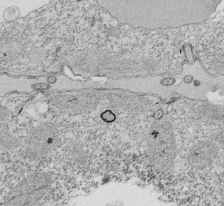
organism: Tetrahymena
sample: Cilia in tetrahymena